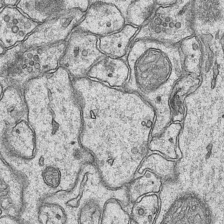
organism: Mouse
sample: CA1 Hippocampus